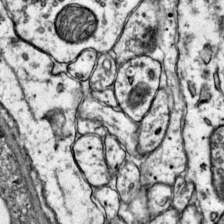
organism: Mouse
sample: Primary visual cortex